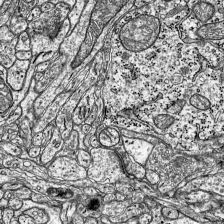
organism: Mouse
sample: Visual Cortex